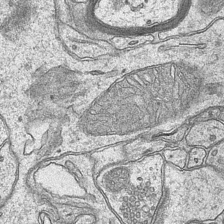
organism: Mouse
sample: CA1 Hippocampus